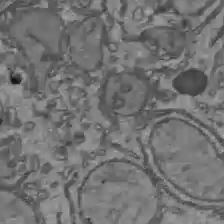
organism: C57BL Mouse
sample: Liver